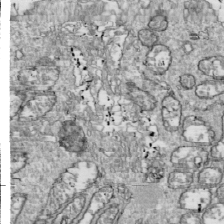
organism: Drosophila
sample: Cell division; meiosis; drosophila spermatocytes